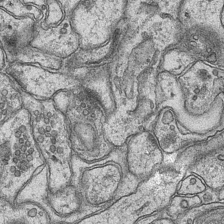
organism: Mouse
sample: CA1 Hippocampus